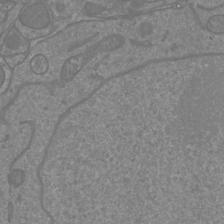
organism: Mouse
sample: Cortical neurons